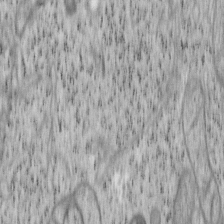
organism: Human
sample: HeLa cells